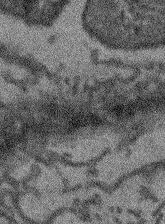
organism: Arabidopsis thaliana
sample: Root tip